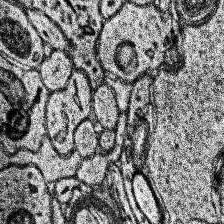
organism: Human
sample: Temporal Lobe